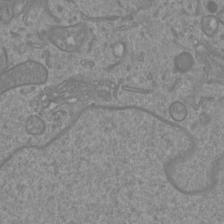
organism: Mouse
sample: Cortical neurons